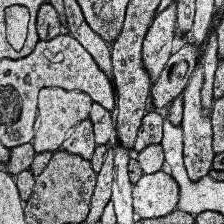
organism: Human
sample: Temporal Lobe